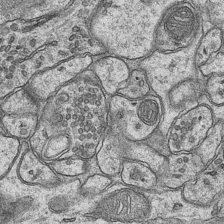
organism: Mouse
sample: CA1 Hippocampus